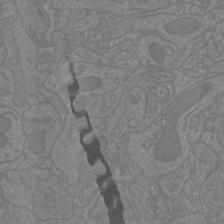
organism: Mouse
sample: Cortical neurons